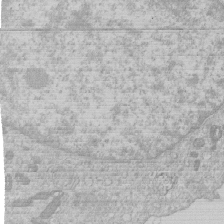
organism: Human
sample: Macrophage cells